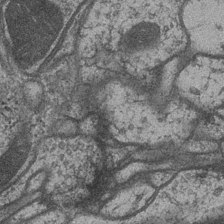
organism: Drosophila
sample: Optic medulla